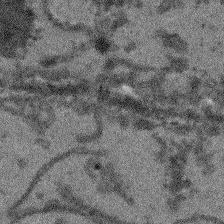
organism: Arabidopsis thaliana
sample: Root tip